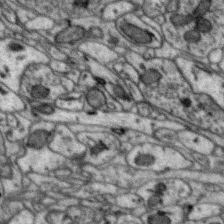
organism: Zebra finch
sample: Brain